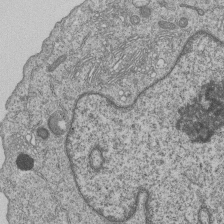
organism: Human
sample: MDA-MB-231 cells